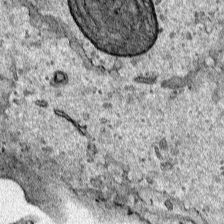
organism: Human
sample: Mitochondria in HCT116 cells